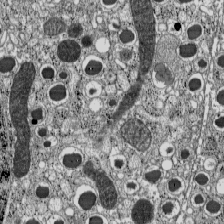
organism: C57BL Mouse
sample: Pancreatic islet